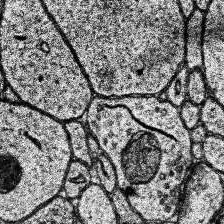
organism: Human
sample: Temporal Lobe